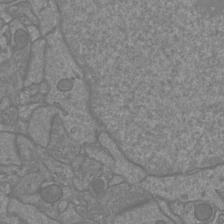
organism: Mouse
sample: Cortical neurons